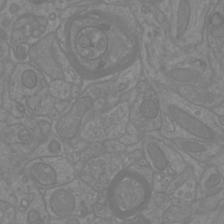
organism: Mouse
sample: Cortical neurons